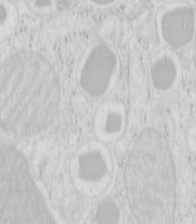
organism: Mouse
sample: Pancreas